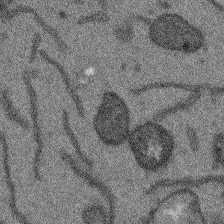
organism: Arabidopsis thaliana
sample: Root tip